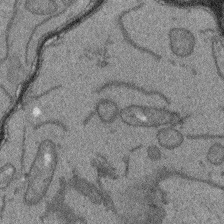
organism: Arabidopsis thaliana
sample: Root tip